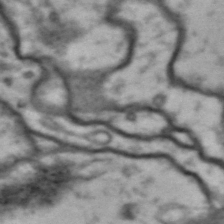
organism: Drosophila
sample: Brain